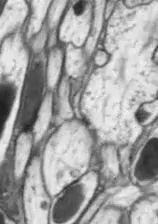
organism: Drosophila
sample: Optic lobe